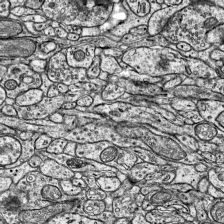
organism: Mouse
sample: Visual Cortex